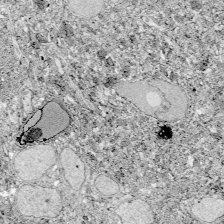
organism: Zebrafish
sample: Whole-Brain